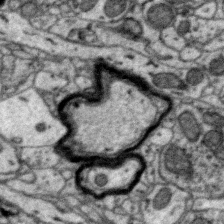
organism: Zebra finch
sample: Brain